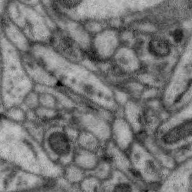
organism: Zebra finch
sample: Brain